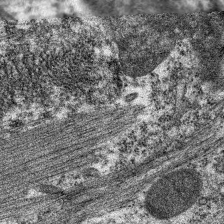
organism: C. elegans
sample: Pharynx